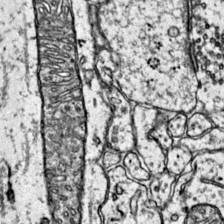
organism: Mouse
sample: Primary visual cortex